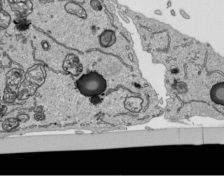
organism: Human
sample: Mitochondria in HCT116 cells